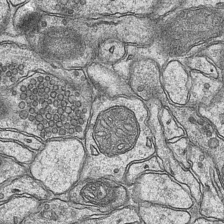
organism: Mouse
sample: CA1 Hippocampus